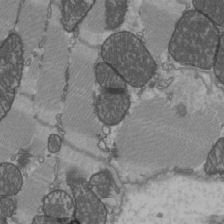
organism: C57BL Mouse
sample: Heart